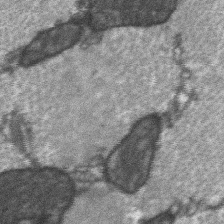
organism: C57BL Mouse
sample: Soleus